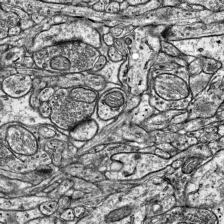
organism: Mouse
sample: Visual Cortex